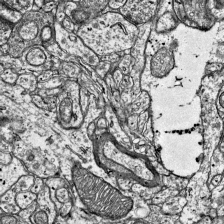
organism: Mouse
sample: Visual Cortex